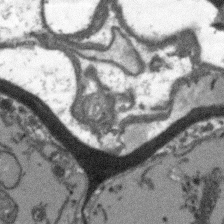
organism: Arabidopsis thaliana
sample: Root tip